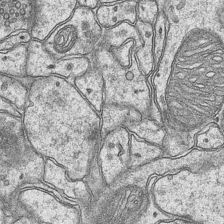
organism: Mouse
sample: CA1 Hippocampus